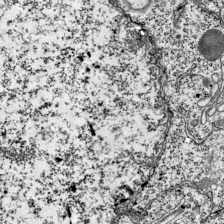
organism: Mouse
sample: Visual Cortex